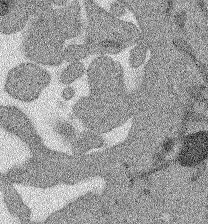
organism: Human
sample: HeLa cells